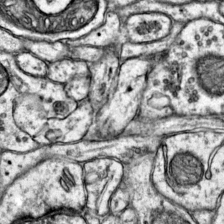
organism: Mouse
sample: Primary visual cortex